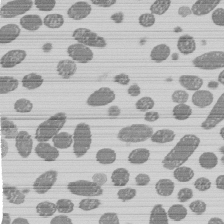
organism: E. coli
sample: Bacterial nucleoid